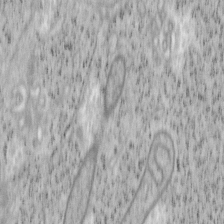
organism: Human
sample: HeLa cells